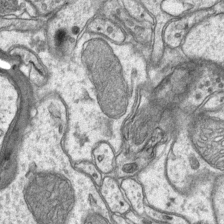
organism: Mouse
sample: CA1 Hippocampus